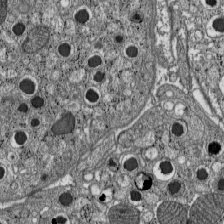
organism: C57BL Mouse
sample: Pancreatic islet